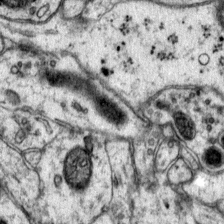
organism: Mouse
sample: Primary visual cortex